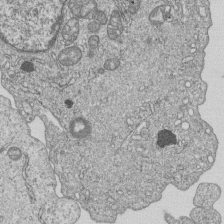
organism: Human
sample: MDA-MB-231 cells